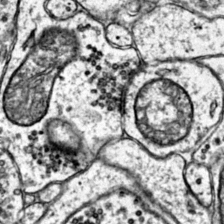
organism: Mouse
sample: Primary visual cortex